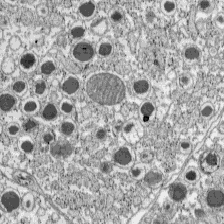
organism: C57BL Mouse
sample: Pancreatic islet